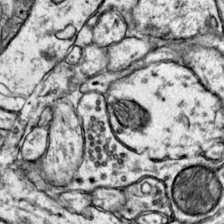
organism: Mouse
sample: Primary visual cortex